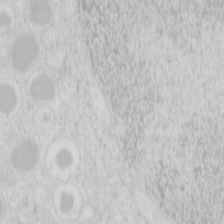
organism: Mouse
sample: Pancreas